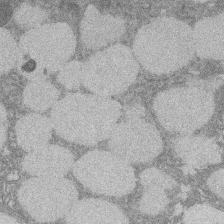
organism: Rat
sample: Salivary granule